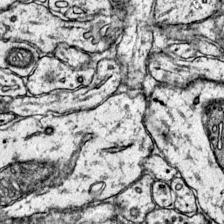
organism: Mouse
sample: Primary visual cortex